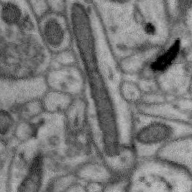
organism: Zebra finch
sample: Brain